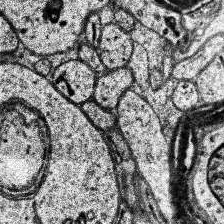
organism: Human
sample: Temporal Lobe